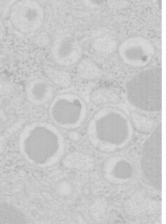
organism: Mouse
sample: Pancreas